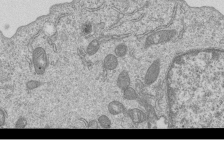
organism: Human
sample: MDA-MB-231 cells